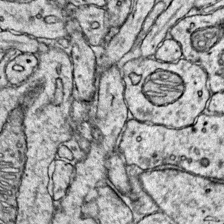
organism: Mouse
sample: Primary visual cortex